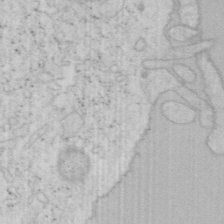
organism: Human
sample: HeLa cells